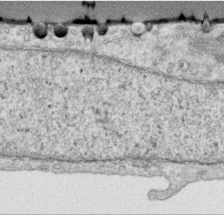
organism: Human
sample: Centriole in RPE cells